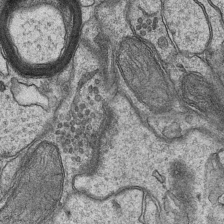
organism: Mouse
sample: CA1 Hippocampus